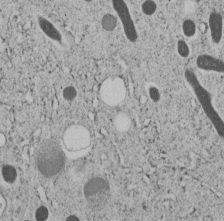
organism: C. elegans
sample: C. elegans embryo early stage